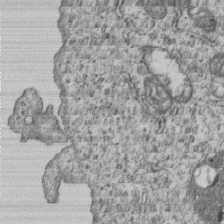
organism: Human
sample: MDA-MB-231 cells